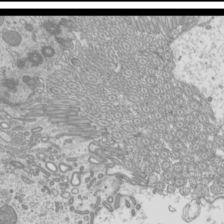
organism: Mouse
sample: Cilia; mouse epididymis